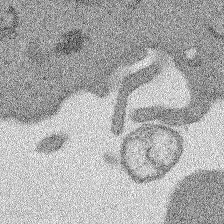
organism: Human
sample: HeLa cells